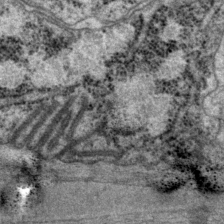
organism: P. pacificus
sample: Pharynx